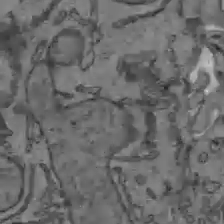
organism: C57BL Mouse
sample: Liver